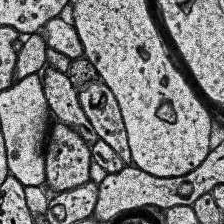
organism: Human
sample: Temporal Lobe